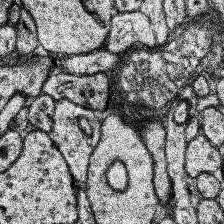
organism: Human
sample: Temporal Lobe